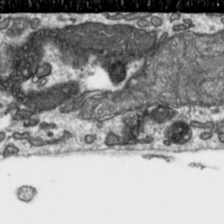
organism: Toxoplasma gondii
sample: Parasites in a vacuole inside a host cell